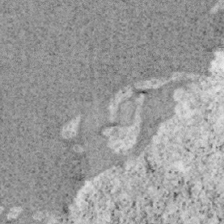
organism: Mouse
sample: OT-I killer T cells with ID8 ovarian cancer cells